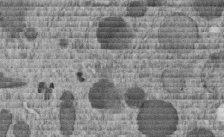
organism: C. elegans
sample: C. elegans embryo early stage